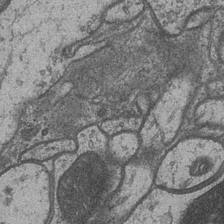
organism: Drosophila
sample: Optic medulla